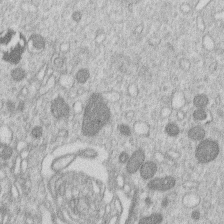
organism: Human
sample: Macrophage cells